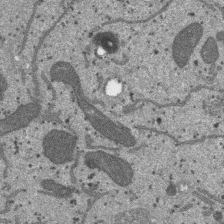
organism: Human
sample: Lung epithelial cells infected with SARS-CoV-2